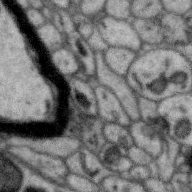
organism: Zebra finch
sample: Brain